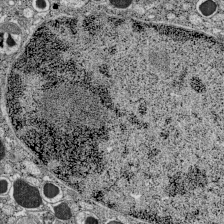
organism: C57BL Mouse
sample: Pancreatic islet